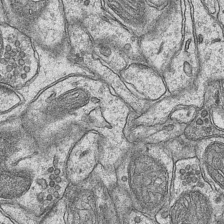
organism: Mouse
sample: CA1 Hippocampus